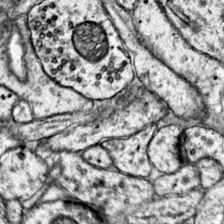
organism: Mouse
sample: Primary visual cortex